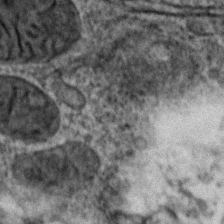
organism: Zebrafish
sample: Zebrafish embryo